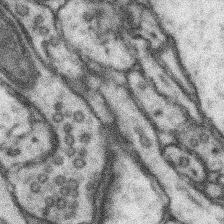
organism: Mouse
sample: Somatosensory cortex neuropil